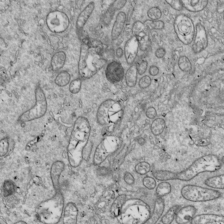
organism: Drosophila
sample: Cell division; meiosis; drosophila spermatocytes